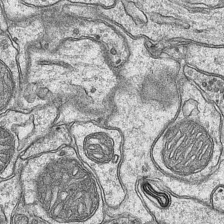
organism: Mouse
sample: CA1 Hippocampus